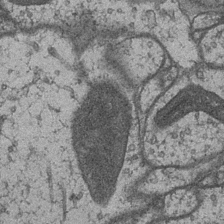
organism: Drosophila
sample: Optic medulla